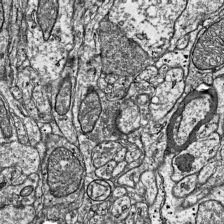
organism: Mouse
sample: Visual Cortex